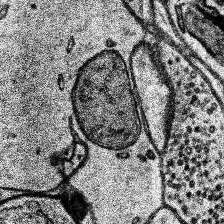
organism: Human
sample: Temporal Lobe